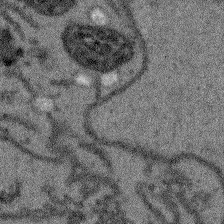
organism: Arabidopsis thaliana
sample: Root tip